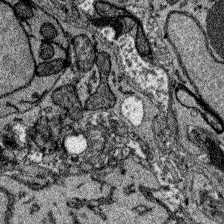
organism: Zebrafish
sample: Larval olfactory bulb